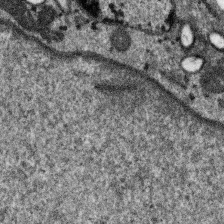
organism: Human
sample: Lung epithelial cells infected with SARS-CoV-2